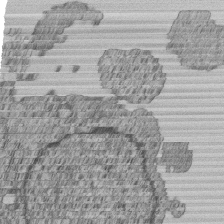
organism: Human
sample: MDA-MB-231 cells